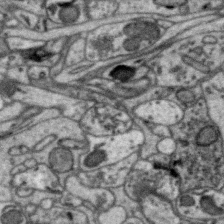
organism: Zebra finch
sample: Brain